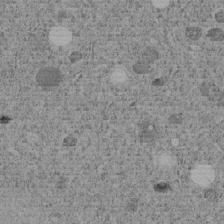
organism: C. elegans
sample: C. elegans embryo early stage